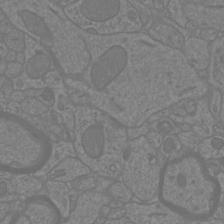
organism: Mouse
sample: Cortical neurons